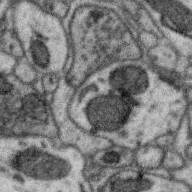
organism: Zebra finch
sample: Brain